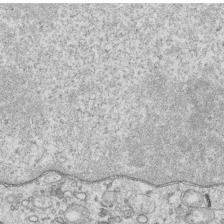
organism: Human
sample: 1205lu cells